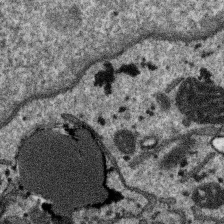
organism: Human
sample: Lung epithelial cells infected with SARS-CoV-2